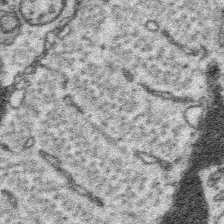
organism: Platynereis dumerilii